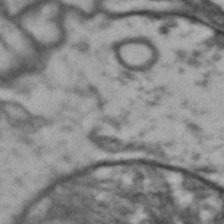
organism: Drosophila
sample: Brain